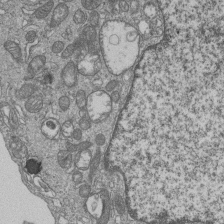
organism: Human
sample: MDA-MB-231 cells